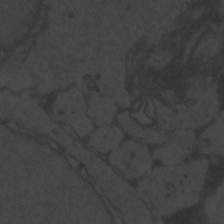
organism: Zebrafish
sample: Macrophage infected with Toxoplasma gondii